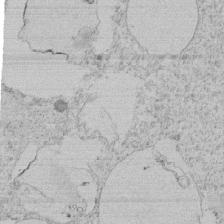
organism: Tetrahymena